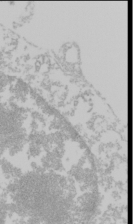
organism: Mouse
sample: Cancer cell death in ED-1 cells